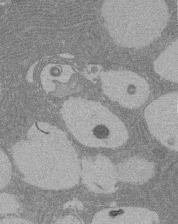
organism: Rat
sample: Salivary granule